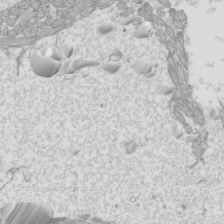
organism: Mouse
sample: Cilia; mouse epididymis